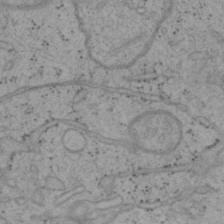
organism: Human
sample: HeLa cells